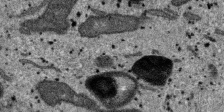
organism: Human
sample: Lung epithelial cells, uninfected (mock) control